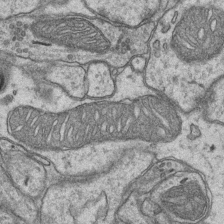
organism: Mouse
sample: CA1 Hippocampus